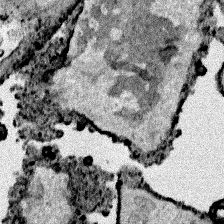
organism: Human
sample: Mitochondria in HCT116 cells